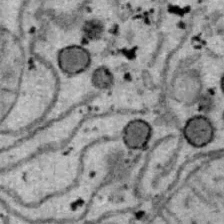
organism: Mouse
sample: Liver from an obese (ob/ob) mouse